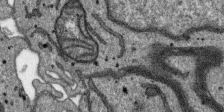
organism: Human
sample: Lung epithelial cells, uninfected (mock) control